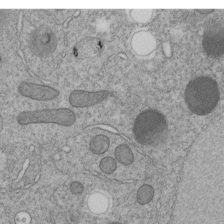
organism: C. elegans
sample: C. elegans embryo early stage